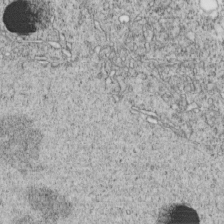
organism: C. elegans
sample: C. elegans embryo early stage